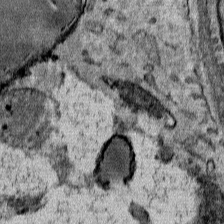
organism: Mouse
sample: Mouse Salivary gland